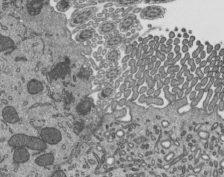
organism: Mouse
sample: Mouse epididymis efferent ductule cilia